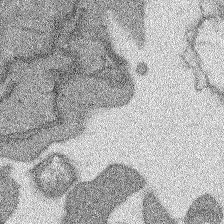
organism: Human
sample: HeLa cells